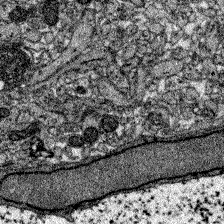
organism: Zebrafish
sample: Larval olfactory bulb